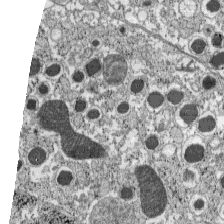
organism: C57BL Mouse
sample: Pancreatic islet